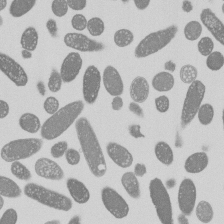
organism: E. coli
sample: Bacterial nucleoid